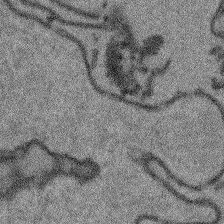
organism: Arabidopsis thaliana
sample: Root tip